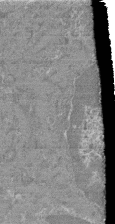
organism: Mouse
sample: Glomerulus